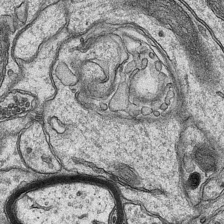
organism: Mouse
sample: CA1 Hippocampus